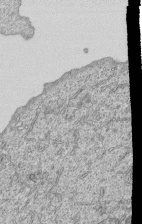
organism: Human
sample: MDA-MB-231 cells